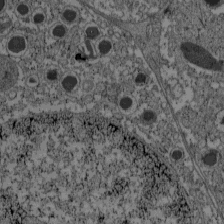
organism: C57BL Mouse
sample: Pancreatic islet